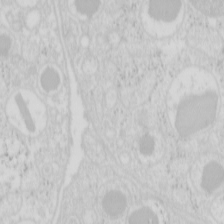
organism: Mouse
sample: Pancreas